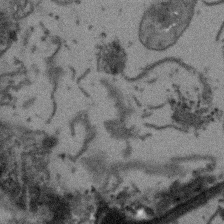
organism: Arabidopsis thaliana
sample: Root tip